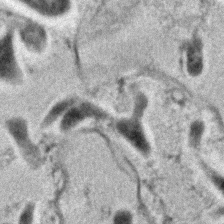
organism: C. elegans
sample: C. elegans embryo